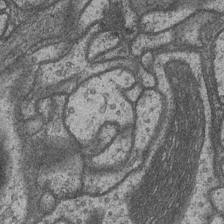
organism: Drosophila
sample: Optic medulla